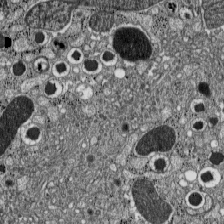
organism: C57BL Mouse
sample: Pancreatic islet